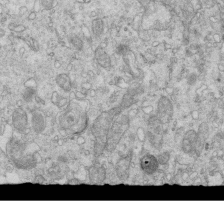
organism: Mouse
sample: Multiciliated cells